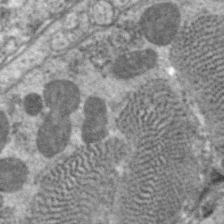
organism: C. elegans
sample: Pharynx